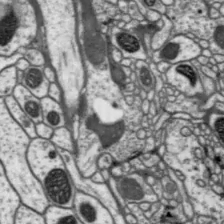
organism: Drosophila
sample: Protocerebral bridge